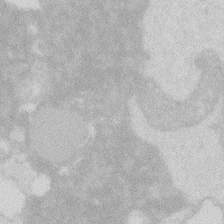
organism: Zebrafish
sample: Macrophage